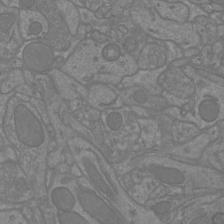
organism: Mouse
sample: Cortical neurons